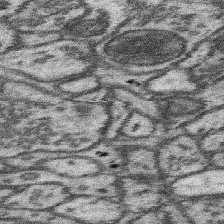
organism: Mouse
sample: Somatosensory cortex neuropil